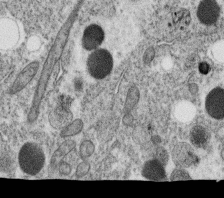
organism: C. elegans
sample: C. elegans oocyte; sperm cells